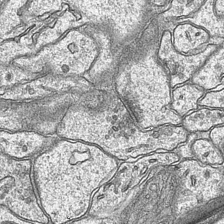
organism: Mouse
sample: CA1 Hippocampus